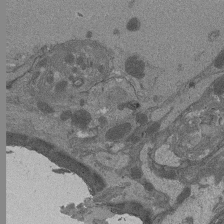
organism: Drosophila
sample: Antenna